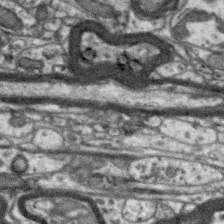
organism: Zebra finch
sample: Brain